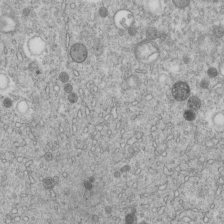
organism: C. elegans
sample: C. elegans embryo early stage